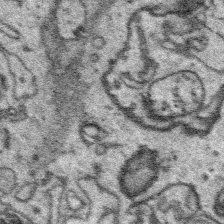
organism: Platynereis dumerilii